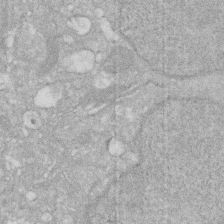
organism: Human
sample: HIV infected U937 cells